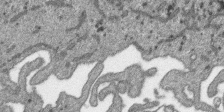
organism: Human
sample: Lung epithelial cells infected with SARS-CoV-2